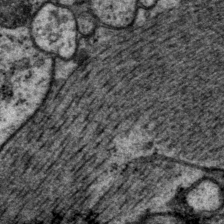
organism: P. pacificus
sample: Pharynx